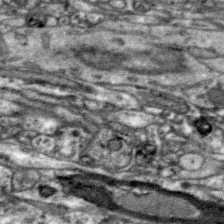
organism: Zebra finch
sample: Brain